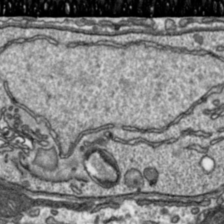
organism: Toxoplasma gondii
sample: Parasites in a vacuole inside a host cell